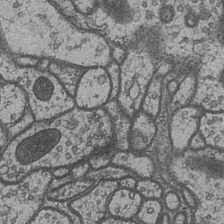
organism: Drosophila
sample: Optic medulla